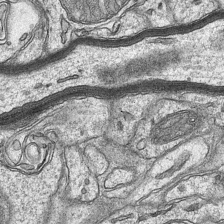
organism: Mouse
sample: CA1 Hippocampus